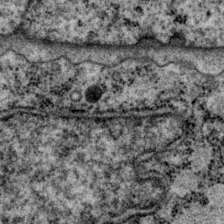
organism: P. pacificus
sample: Pharynx